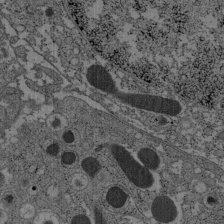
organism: C57BL Mouse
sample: Pancreatic islet